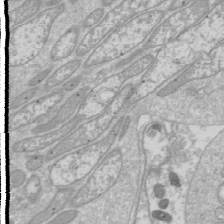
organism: Drosophila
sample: Cell division; meiosis; drosophila spermatocytes